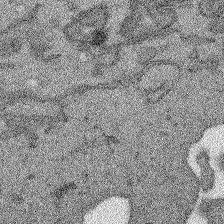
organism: Human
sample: HeLa cells